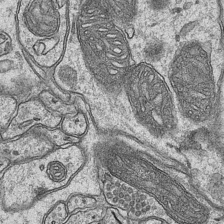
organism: Mouse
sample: CA1 Hippocampus